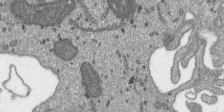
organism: Human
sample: Lung epithelial cells infected with SARS-CoV-2